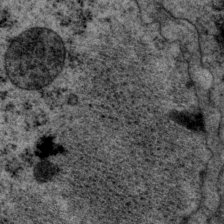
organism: P. pacificus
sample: Pharynx